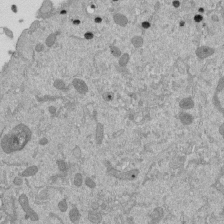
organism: Mouse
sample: ED-1 cell nuclei; centrioles